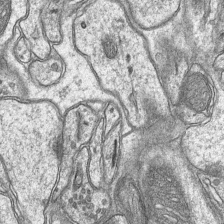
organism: Mouse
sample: CA1 Hippocampus